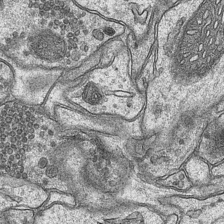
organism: Mouse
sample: CA1 Hippocampus